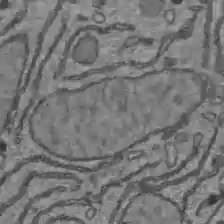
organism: C57BL Mouse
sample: Liver